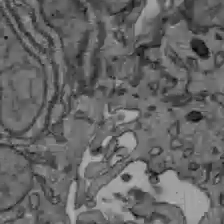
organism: C57BL Mouse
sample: Liver